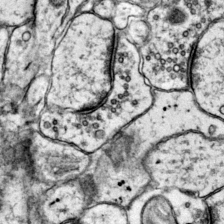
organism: Mouse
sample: Primary visual cortex